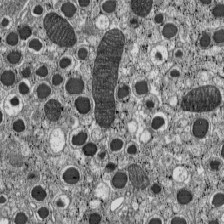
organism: C57BL Mouse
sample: Pancreatic islet